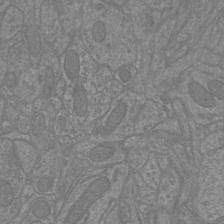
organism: Mouse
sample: Cortical neurons